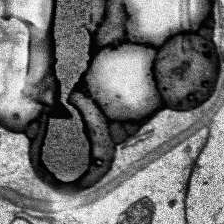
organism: Human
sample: Temporal Lobe